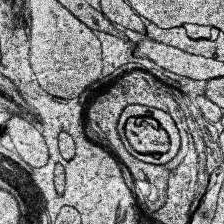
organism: Human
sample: Temporal Lobe